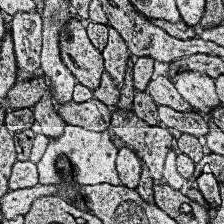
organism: Human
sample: Temporal Lobe